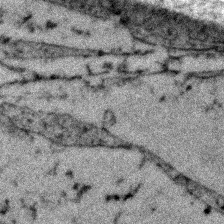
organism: Zebrafish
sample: Zebrafish embryo